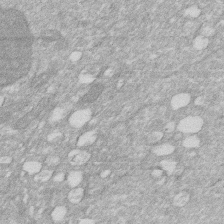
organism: Human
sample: HIV infected U937 cells